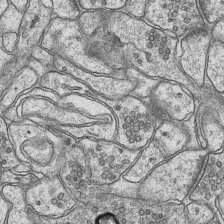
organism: Mouse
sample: CA1 Hippocampus